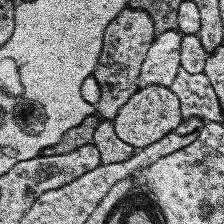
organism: Human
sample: Temporal Lobe